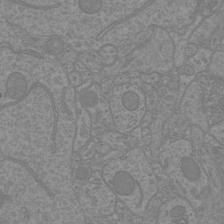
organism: Mouse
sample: Cortical neurons